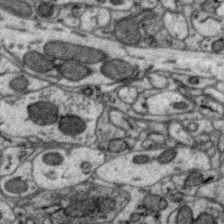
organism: Zebra finch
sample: Brain